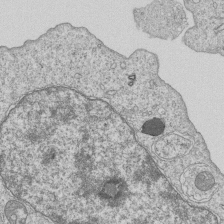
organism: Human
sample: MDA-MB-231 cells